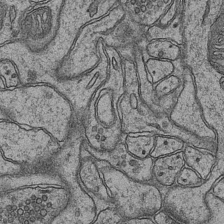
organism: Mouse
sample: CA1 Hippocampus